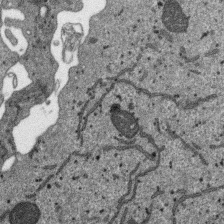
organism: Human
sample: Lung epithelial cells infected with SARS-CoV-2